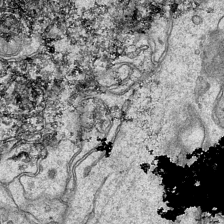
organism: Mouse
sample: CA1 Hippocampus